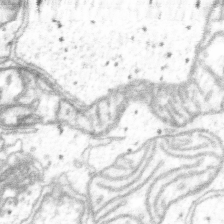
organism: Human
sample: HeLa cells